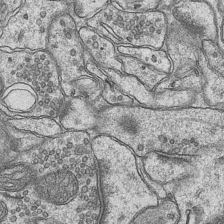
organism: Mouse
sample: CA1 Hippocampus